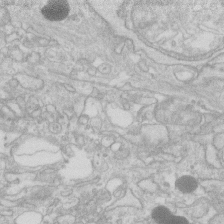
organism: Human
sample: Fibroblast cells